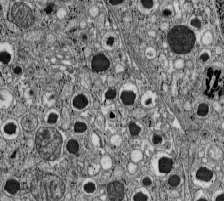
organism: C57BL Mouse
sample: Pancreatic islet